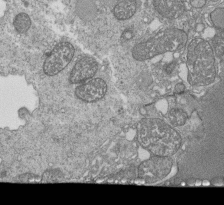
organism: Tetrahymena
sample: Cilia in tetrahymena